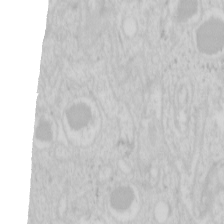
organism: Mouse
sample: Pancreas